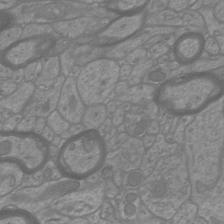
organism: Mouse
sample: Cortical neurons